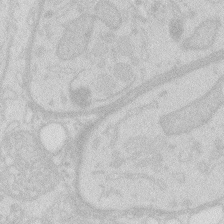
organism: Zebrafish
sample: Macrophage